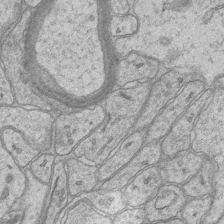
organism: Mouse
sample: CA1 Hippocampus